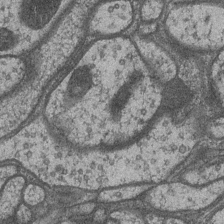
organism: Drosophila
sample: Optic medulla